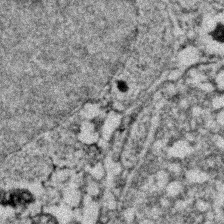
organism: Zebrafish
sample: Zebrafish embryo